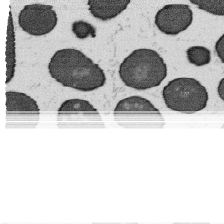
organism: B. subtilis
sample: Bacterial spore